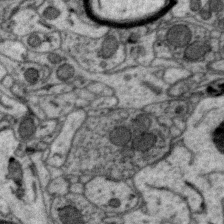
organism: Zebra finch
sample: Brain